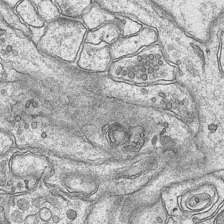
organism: Mouse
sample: CA1 Hippocampus